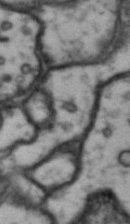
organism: Drosophila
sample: Brain